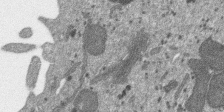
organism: Human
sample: Lung epithelial cells infected with SARS-CoV-2